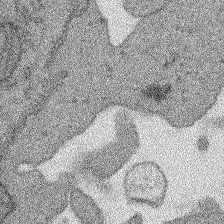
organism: Human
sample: HeLa cells